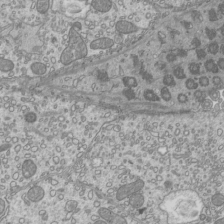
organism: Mouse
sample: Cilia; mouse epididymis